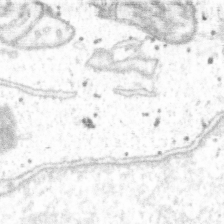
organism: Human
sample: HeLa cells